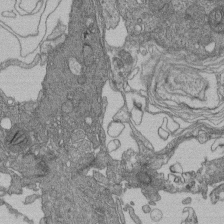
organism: Human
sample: Retinal organoid Rod and Cone cells